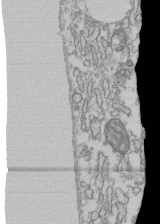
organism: Human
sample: Fibroblast cells